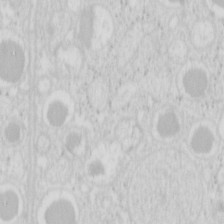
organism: Mouse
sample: Pancreas